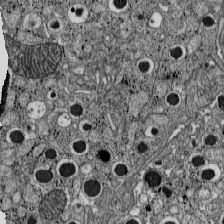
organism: C57BL Mouse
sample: Pancreatic islet